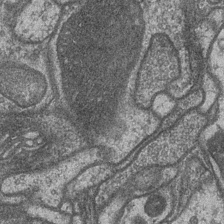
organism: Drosophila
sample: Optic medulla